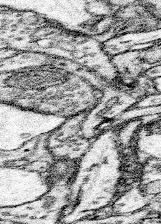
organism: Mouse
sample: Somatosensory cortex neuropil